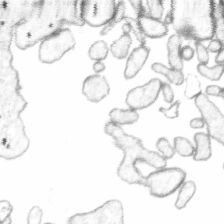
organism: Human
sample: HeLa cells